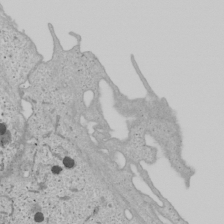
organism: Human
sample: Mitochondria in U2OS cells